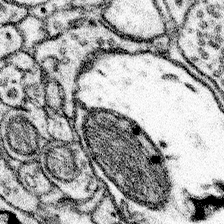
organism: Mouse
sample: Somatosensory cortex neuropil